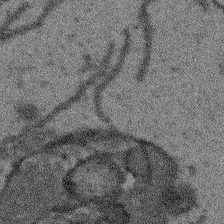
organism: Arabidopsis thaliana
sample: Root tip